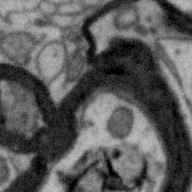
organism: Zebra finch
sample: Brain